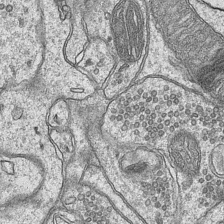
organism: Mouse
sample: CA1 Hippocampus